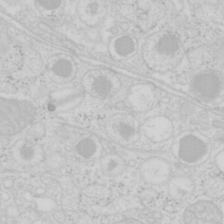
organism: Mouse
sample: Pancreas